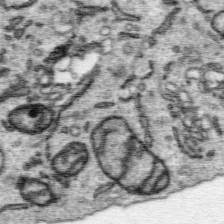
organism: Human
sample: HeLa cells